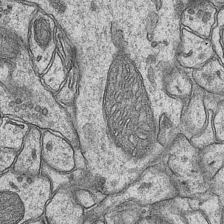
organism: Mouse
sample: CA1 Hippocampus